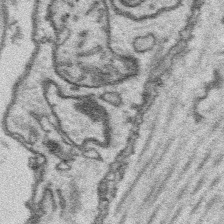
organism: Platynereis dumerilii